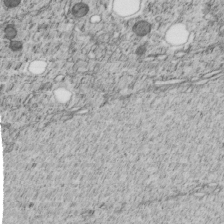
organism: C. elegans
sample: C. elegans embryo early stage